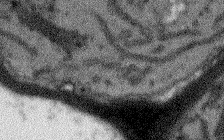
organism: Arabidopsis thaliana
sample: Root tip